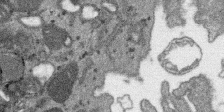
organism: Human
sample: Lung epithelial cells infected with SARS-CoV-2